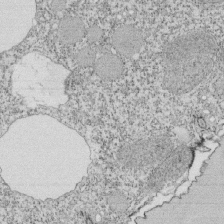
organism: Tetrahymena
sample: Cilia in tetrahymena